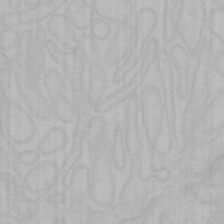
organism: Mouse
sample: Choroid plexus